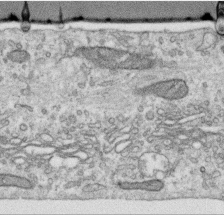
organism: Human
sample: Centriole in RPE cells